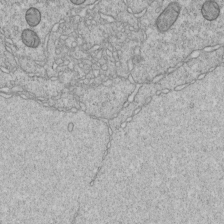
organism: C. elegans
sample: C. elegans embryo early stage